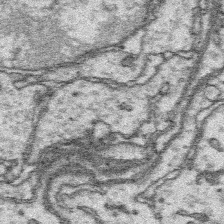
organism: Platynereis dumerilii